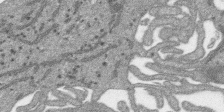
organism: Human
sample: Lung epithelial cells infected with SARS-CoV-2